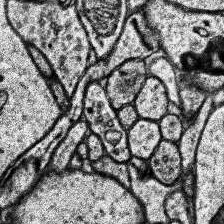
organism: Human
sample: Temporal Lobe